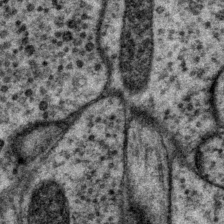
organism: P. pacificus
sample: Pharynx